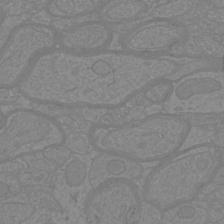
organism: Mouse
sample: Cortical neurons